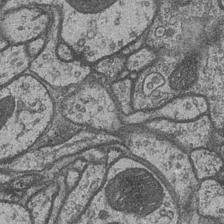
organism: Drosophila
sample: Optic medulla